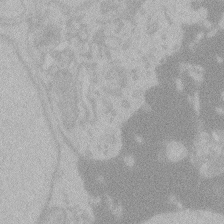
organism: Zebrafish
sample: Macrophage infected with Toxoplasma gondii